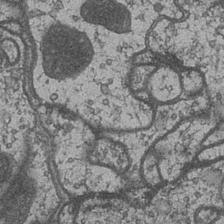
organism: Drosophila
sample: Optic medulla